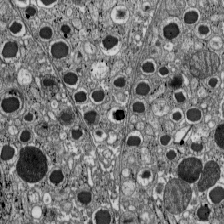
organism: C57BL Mouse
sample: Pancreatic islet